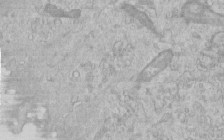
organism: Human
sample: Centriole in RPE cells